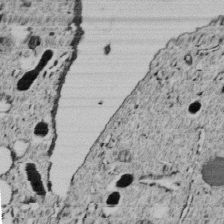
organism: C. elegans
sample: C. elegans embryo early stage